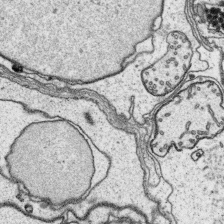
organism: Platynereis dumerilii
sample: Parapodia